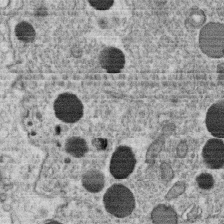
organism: C. elegans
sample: C. elegans oocyte; sperm cells